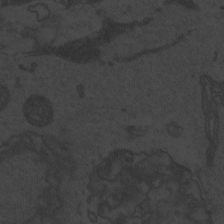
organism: Zebrafish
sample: Macrophage infected with Toxoplasma gondii